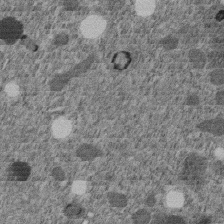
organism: C. elegans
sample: C. elegans embryo early stage